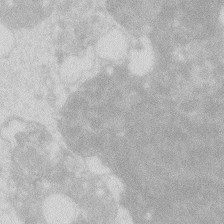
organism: Zebrafish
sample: Macrophage